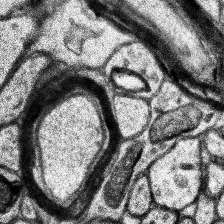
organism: Human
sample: Temporal Lobe